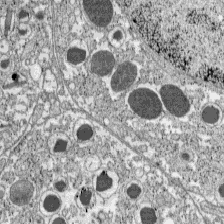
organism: C57BL Mouse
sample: Pancreatic islet